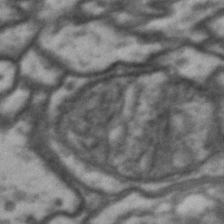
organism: Drosophila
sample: Brain